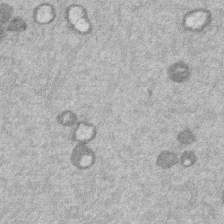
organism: Mouse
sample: Dividing mouse embryo 1 cell stage